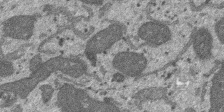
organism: Human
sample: Lung epithelial cells infected with SARS-CoV-2